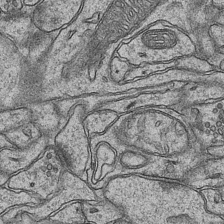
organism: Mouse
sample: CA1 Hippocampus